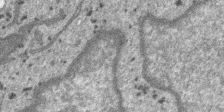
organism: Human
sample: Lung epithelial cells infected with SARS-CoV-2